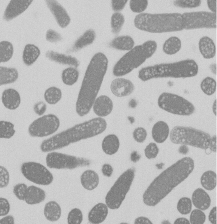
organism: E. coli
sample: Bacterial nucleoid